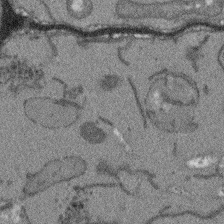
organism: Arabidopsis thaliana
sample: Root tip